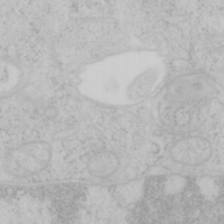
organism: Mouse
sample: OT-I killer T cells with ID8 ovarian cancer cells